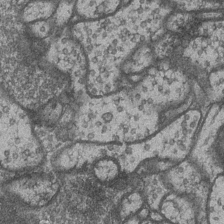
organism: Drosophila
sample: Optic medulla